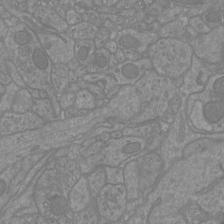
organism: Mouse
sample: Cortical neurons